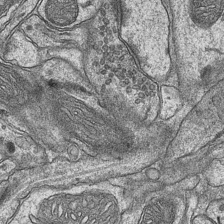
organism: Mouse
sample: CA1 Hippocampus